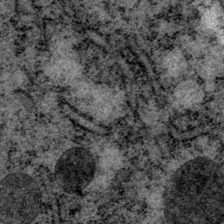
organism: P. pacificus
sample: Pharynx